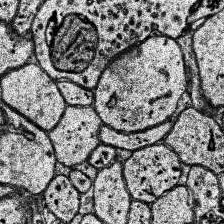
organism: Human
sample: Temporal Lobe